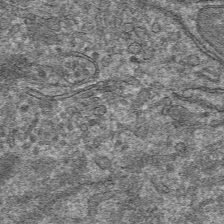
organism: Mouse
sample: Mouse hepatocytes